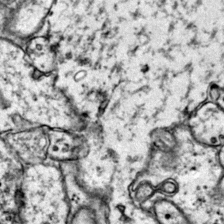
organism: Mouse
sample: Primary visual cortex